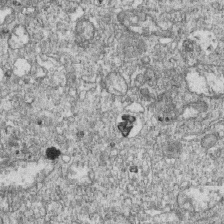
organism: Human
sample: HeLa cell HIV synapse